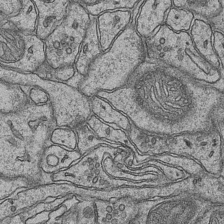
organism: Mouse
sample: CA1 Hippocampus